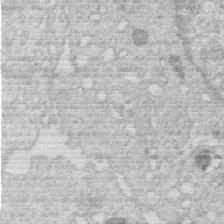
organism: Human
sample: Macrophage cells